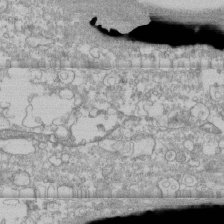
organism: Human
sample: CRL-1474